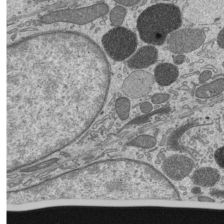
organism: Mouse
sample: Mouse epididymis efferent ductule cilia